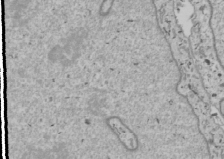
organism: Human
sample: Mitochondria in U2OS cells